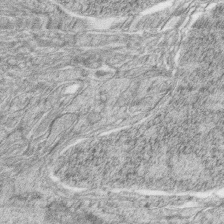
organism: Zebrafish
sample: synaptic ribbons in rod cells and cone cells